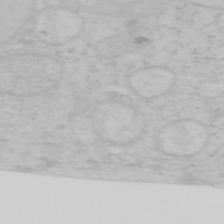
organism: Mouse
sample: OT-I killer T cells with ID8 ovarian cancer cells